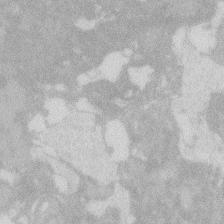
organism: Zebrafish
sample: Macrophage